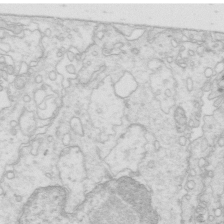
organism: Mouse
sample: Multiciliated cells